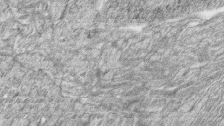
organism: Zebrafish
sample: synaptic ribbons in rod cells and cone cells